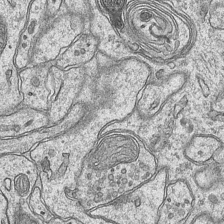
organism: Mouse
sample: CA1 Hippocampus